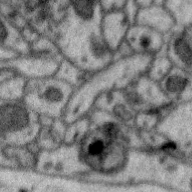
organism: Zebra finch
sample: Brain